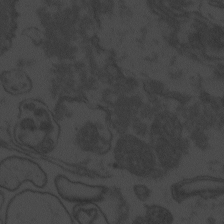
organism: Zebrafish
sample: Macrophage infected with Toxoplasma gondii